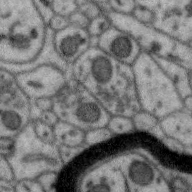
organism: Zebra finch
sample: Brain